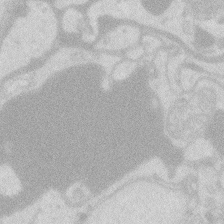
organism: Zebrafish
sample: Macrophage